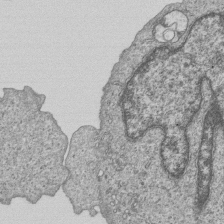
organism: Human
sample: MDA-MB-231 cells